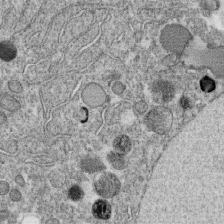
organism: C. elegans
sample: C. elegans oocyte; sperm cells